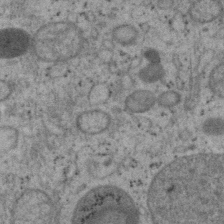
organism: Human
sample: HeLa cells